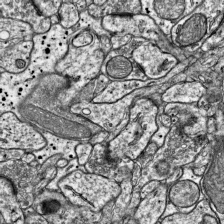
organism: Mouse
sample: Visual Cortex